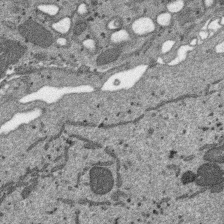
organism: Human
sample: Lung epithelial cells infected with SARS-CoV-2